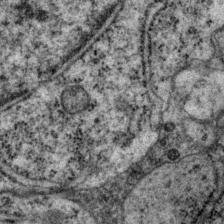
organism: P. pacificus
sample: Pharynx